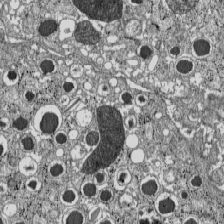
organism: C57BL Mouse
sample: Pancreatic islet